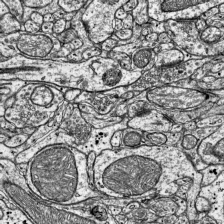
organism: Mouse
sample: Visual Cortex